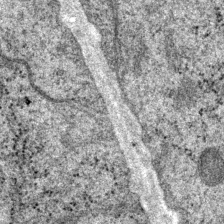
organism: P. pacificus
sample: Pharynx